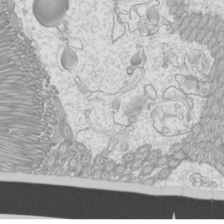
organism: Mouse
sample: Cilia; mouse epididymis